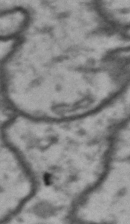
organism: Drosophila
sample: Brain